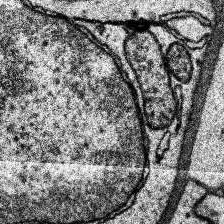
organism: Human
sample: Temporal Lobe